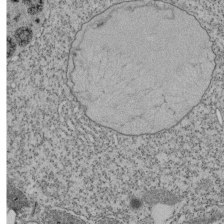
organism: Tetrahymena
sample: Cilia in tetrahymena